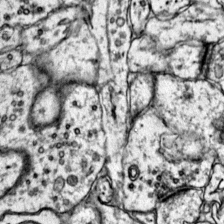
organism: Mouse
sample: Primary visual cortex